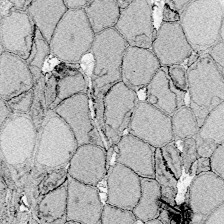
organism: Zebrafish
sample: Whole-Brain